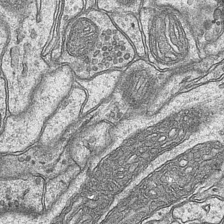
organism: Mouse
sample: CA1 Hippocampus